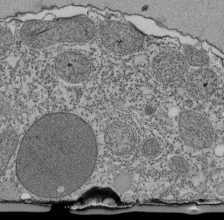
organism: Tetrahymena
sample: Cilia in tetrahymena